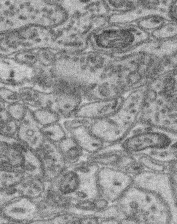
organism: Mouse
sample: Retina